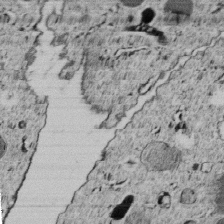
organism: C. elegans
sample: C. elegans embryo early stage